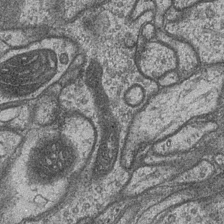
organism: Drosophila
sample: Optic medulla